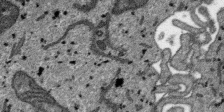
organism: Human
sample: Lung epithelial cells, uninfected (mock) control